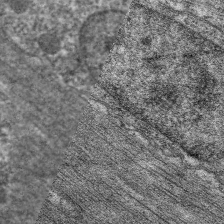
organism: C. elegans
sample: Pharynx